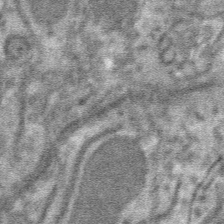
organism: Mouse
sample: Mouse hepatocytes